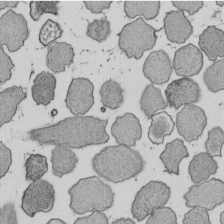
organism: E. coli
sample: Bacterial nucleoid